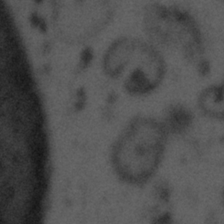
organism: Tuwongella immobilis